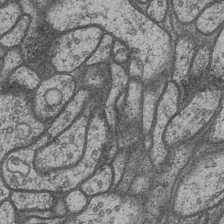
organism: Drosophila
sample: Optic medulla